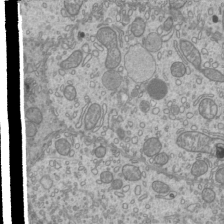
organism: Mouse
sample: Cilia; mouse epididymis